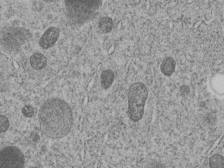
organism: C. elegans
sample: C. elegans embryo early stage